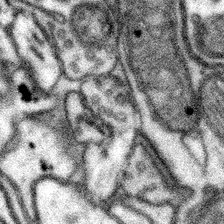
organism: Mouse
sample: Somatosensory cortex neuropil